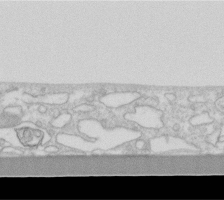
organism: Human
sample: Fibroblast cells